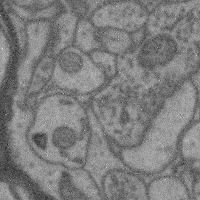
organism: Mouse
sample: Cerebral cortex